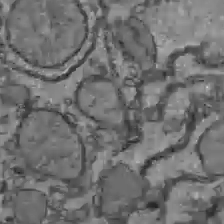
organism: C57BL Mouse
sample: Liver